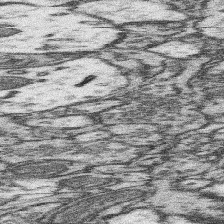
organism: Mouse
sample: Somatosensory cortex neuropil